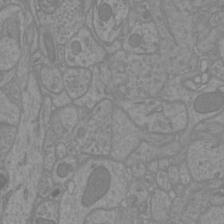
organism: Mouse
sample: Cortical neurons